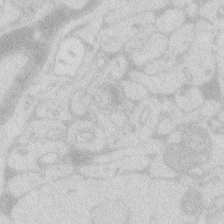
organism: Zebrafish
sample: Macrophage